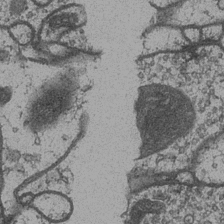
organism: Drosophila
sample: Optic medulla